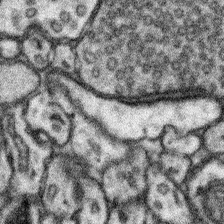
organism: Mouse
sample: Somatosensory cortex neuropil